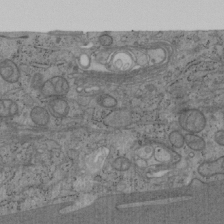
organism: Human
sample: HeLa cells